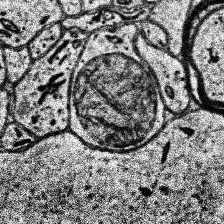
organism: Human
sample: Temporal Lobe